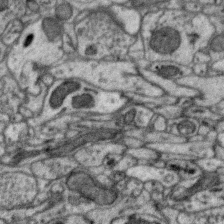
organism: Zebra finch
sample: Brain